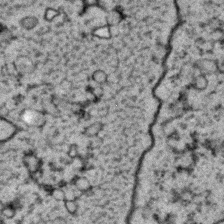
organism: C. elegans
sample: C. elegans embryo